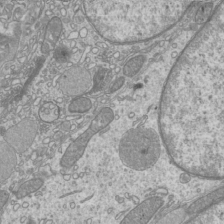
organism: Mouse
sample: Cilia; mouse epididymis